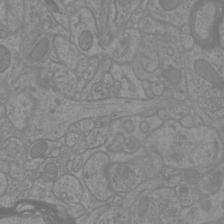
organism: Mouse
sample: Cortical neurons